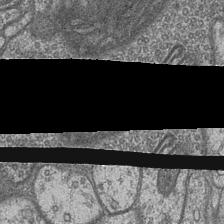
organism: Drosophila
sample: Optic medulla